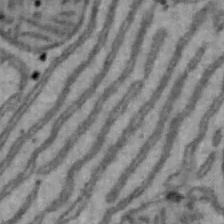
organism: Mouse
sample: Liver